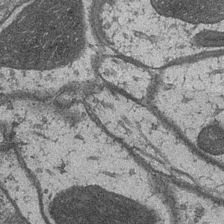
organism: Drosophila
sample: Optic medulla